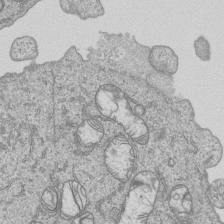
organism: Human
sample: MDA-MB-231 cells